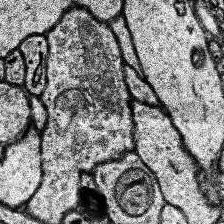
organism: Human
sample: Temporal Lobe